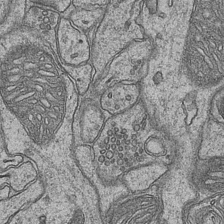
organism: Mouse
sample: CA1 Hippocampus